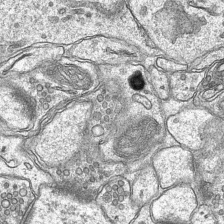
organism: Mouse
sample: CA1 Hippocampus